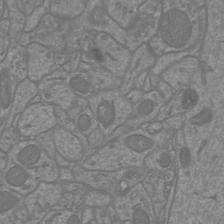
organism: Mouse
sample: Cortical neurons